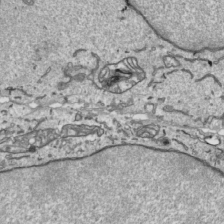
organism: Human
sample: Mitochondria in HCT116 cells